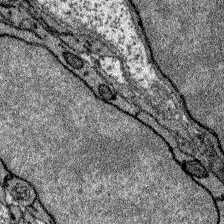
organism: Zebrafish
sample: Larval olfactory bulb